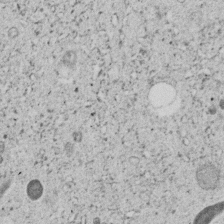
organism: C. elegans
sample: C. elegans embryo early stage